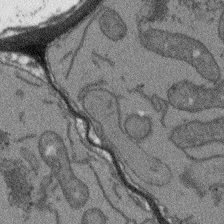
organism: Arabidopsis thaliana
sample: Root tip